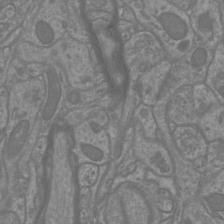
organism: Mouse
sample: Cortical neurons